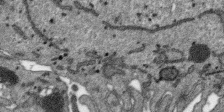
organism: Human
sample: Lung epithelial cells, uninfected (mock) control